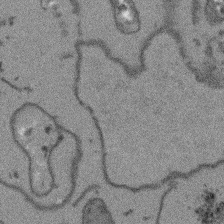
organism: Arabidopsis thaliana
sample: Root tip